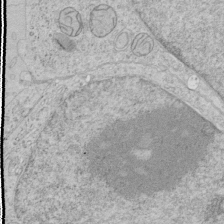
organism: Human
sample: Mitochondria in HCT116 cells